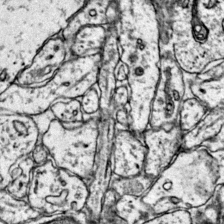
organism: Mouse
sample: Primary visual cortex